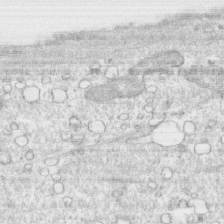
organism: Human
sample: CRL-1474